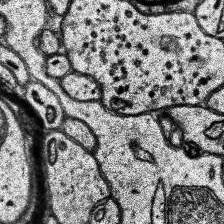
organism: Human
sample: Temporal Lobe